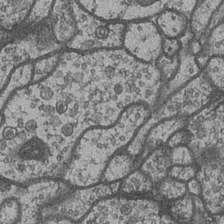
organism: Drosophila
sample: Optic medulla